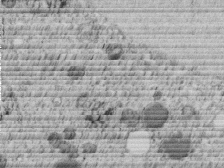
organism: C. elegans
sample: C. elegans embryo early stage